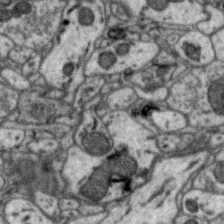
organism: Zebra finch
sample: Brain